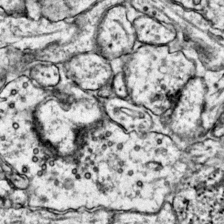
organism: Mouse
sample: Primary visual cortex